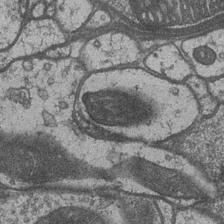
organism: Drosophila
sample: Optic medulla